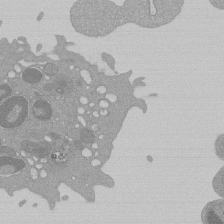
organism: Mouse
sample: Activated Pmel transgenic CD8+ T Cells